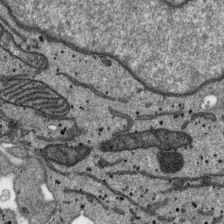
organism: Human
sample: Lung epithelial cells, uninfected (mock) control